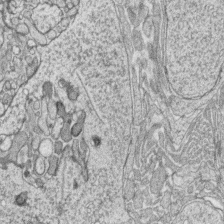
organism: Zebrafish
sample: synaptic ribbons in rod cells and cone cells